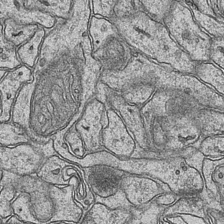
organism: Mouse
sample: CA1 Hippocampus